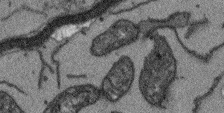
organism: Arabidopsis thaliana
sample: Root tip